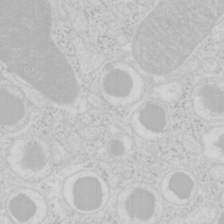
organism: Mouse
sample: Pancreas